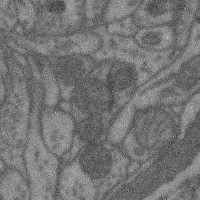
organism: Mouse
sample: Cerebral cortex